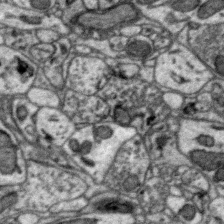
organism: Zebra finch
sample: Brain